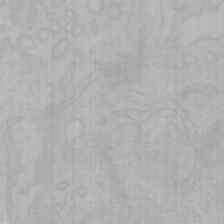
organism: Mouse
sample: Choroid plexus